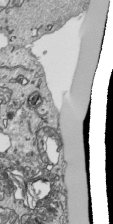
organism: Human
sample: Mitochondria in HCT116 cells